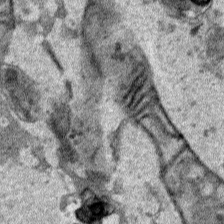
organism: Human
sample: Mitochondria in HCT116 cells